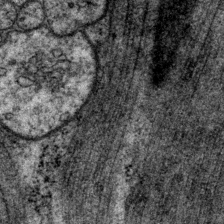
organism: P. pacificus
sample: Pharynx